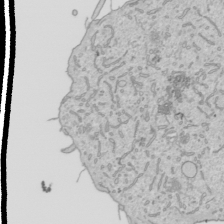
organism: Human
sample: Mitochondria in HCT116 cells